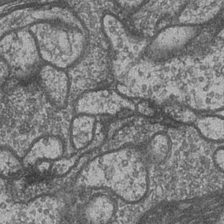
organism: Drosophila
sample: Optic medulla